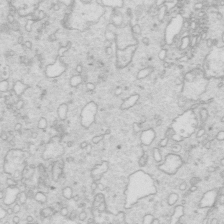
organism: Mouse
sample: Multiciliated cells